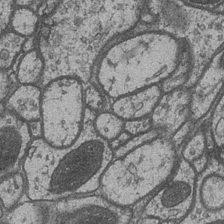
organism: Drosophila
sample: Optic medulla